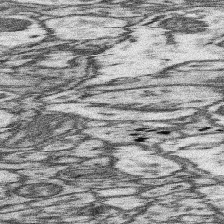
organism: Mouse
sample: Somatosensory cortex neuropil